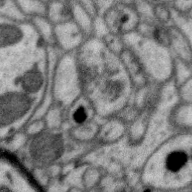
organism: Zebra finch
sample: Brain